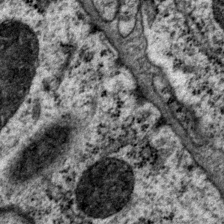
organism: P. pacificus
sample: Pharynx